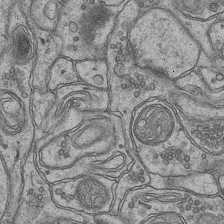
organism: Mouse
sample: CA1 Hippocampus